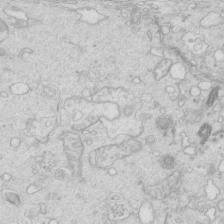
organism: Mouse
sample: Multiciliated cells